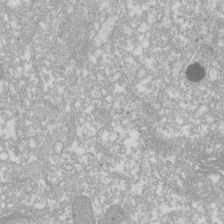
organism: Xenopus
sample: Cilia; centrioles in frog embryo cells